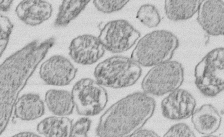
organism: E. coli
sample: Bacterial nucleoid